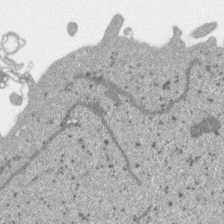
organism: Human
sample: Lung epithelial cells infected with SARS-CoV-2